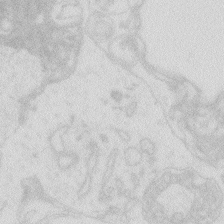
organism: Zebrafish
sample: Macrophage